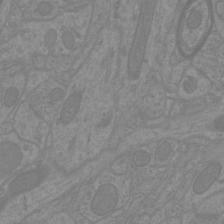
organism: Mouse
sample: Cortical neurons